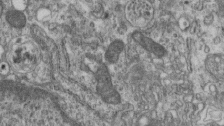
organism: Mouse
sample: Centriole in ependymal cells